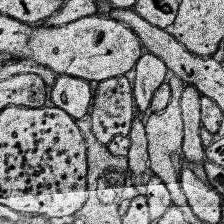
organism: Human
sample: Temporal Lobe